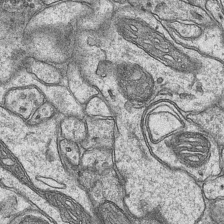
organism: Mouse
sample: CA1 Hippocampus